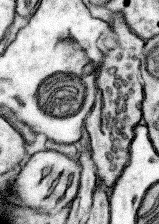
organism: Mouse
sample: Somatosensory cortex neuropil